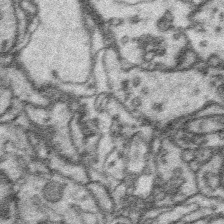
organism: Platynereis dumerilii